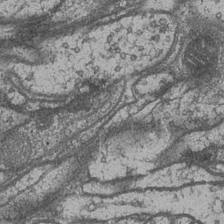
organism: Drosophila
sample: Optic medulla